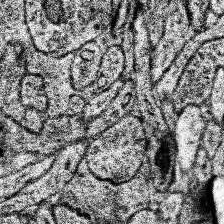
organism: Human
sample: Temporal Lobe